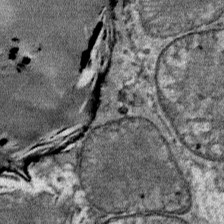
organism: Mouse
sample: Mouse Salivary gland